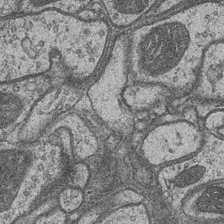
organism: Drosophila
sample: Optic medulla